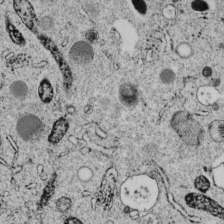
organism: C. elegans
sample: C. elegans embryo early stage